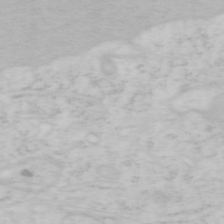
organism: Mouse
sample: OT-I killer T cells with ID8 ovarian cancer cells